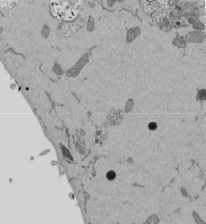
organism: Mouse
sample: ED-1 cell nuclei; centrioles